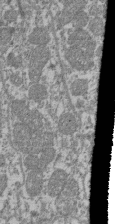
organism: Mouse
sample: Glomerulus